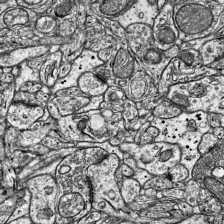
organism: Mouse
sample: Visual Cortex